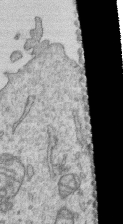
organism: Human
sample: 1205lu cells